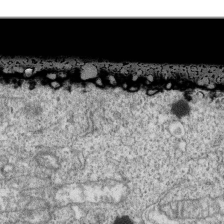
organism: Human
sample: HeLa cell HIV synapse